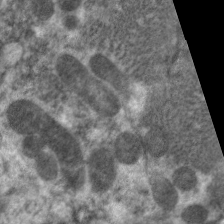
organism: C. elegans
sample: Pharynx